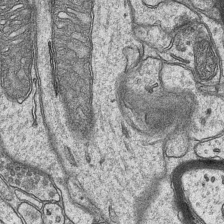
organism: Mouse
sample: CA1 Hippocampus